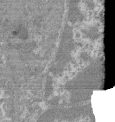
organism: Mouse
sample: Glomerulus